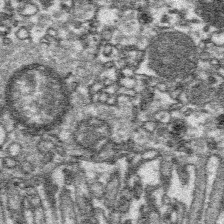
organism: Platynereis dumerilii